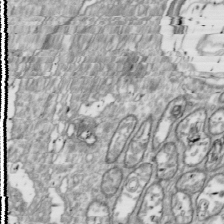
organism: Drosophila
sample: Cell division; meiosis; drosophila spermatocytes